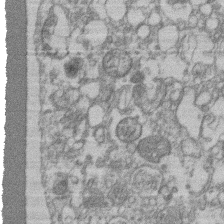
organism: Mouse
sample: T cell stromal cell synapse